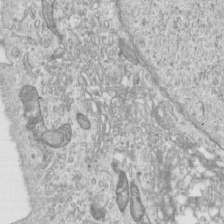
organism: Human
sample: Centriole in RPE cells